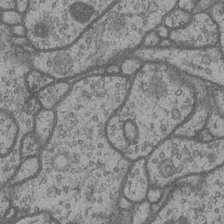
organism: Drosophila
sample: Optic medulla